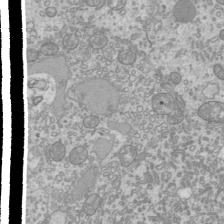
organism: Mouse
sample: Cilia; mouse epididymis